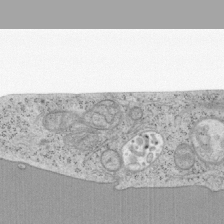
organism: Human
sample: HeLa cells